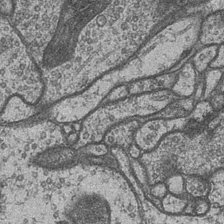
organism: Drosophila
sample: Optic medulla